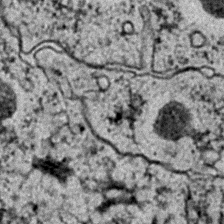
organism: C. elegans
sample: C. elegans embryo